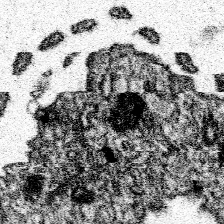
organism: Spongilla lacustris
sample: Neuroid cell